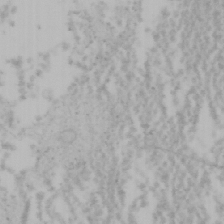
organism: Mouse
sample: OT-I killer T cells with ID8 ovarian cancer cells